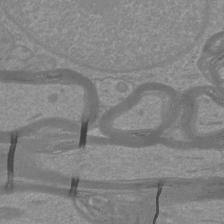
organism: Mouse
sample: Cortical neurons